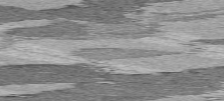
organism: C57BL Mouse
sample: Heart